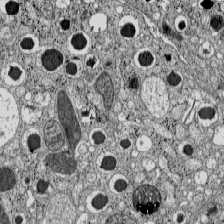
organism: C57BL Mouse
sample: Pancreatic islet